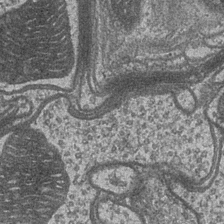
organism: Drosophila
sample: Optic medulla